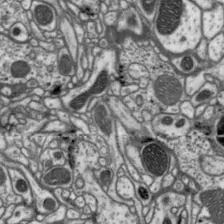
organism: Drosophila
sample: Protocerebral bridge